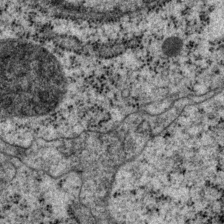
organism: P. pacificus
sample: Pharynx